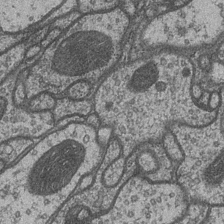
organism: Drosophila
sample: Optic medulla